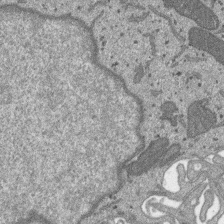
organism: Human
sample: Lung epithelial cells infected with SARS-CoV-2